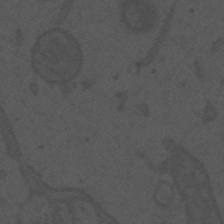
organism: Mouse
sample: Suprachiasmatic nucleus